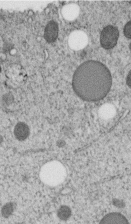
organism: C. elegans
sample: C. elegans embryo early stage